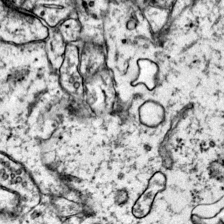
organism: Mouse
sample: Primary visual cortex